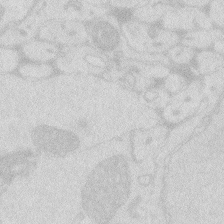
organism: Zebrafish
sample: Macrophage